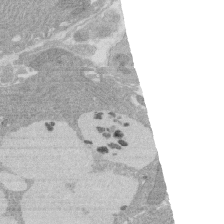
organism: Rat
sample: Salivary granule